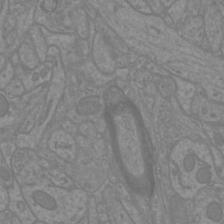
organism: Mouse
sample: Cortical neurons